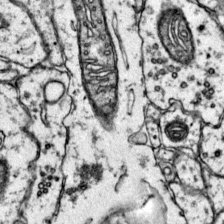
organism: Mouse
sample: Primary visual cortex